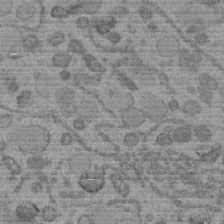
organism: C. elegans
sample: C. elegans embryo early stage